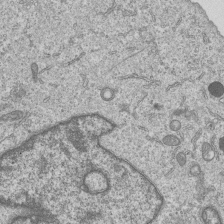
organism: Human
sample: MDA-MB-231 cells